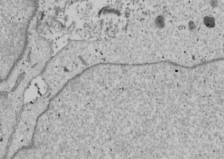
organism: Human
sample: Mitochondria in U2OS cells